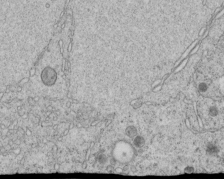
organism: C. elegans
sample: C. elegans embryo early stage